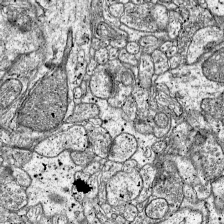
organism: Mouse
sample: Visual Cortex